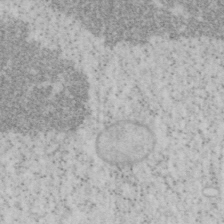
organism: Human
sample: HeLa cells